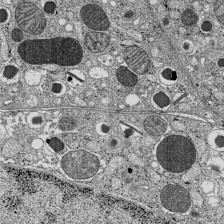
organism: C57BL Mouse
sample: Pancreatic islet